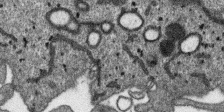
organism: Human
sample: Lung epithelial cells infected with SARS-CoV-2